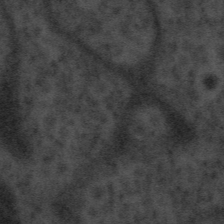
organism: Tuwongella immobilis